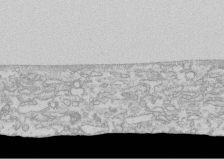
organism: Human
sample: CRL-1474